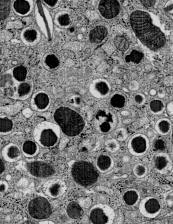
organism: C57BL Mouse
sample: Pancreatic islet